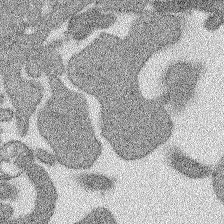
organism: Human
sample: HeLa cells